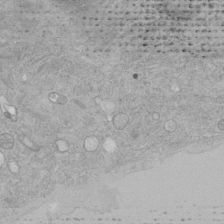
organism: Human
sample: Mitochondria in HCT116 cells